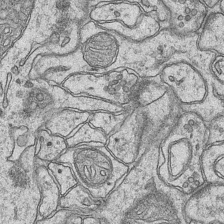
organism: Mouse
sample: CA1 Hippocampus